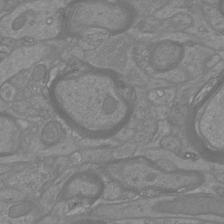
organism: Mouse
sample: Cortical neurons